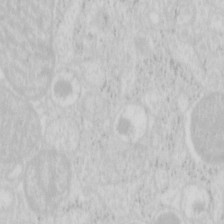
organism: Mouse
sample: Pancreas